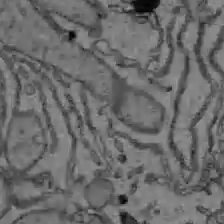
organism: C57BL Mouse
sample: Liver